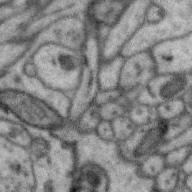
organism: Zebra finch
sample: Brain